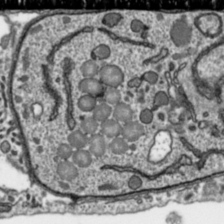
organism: Toxoplasma gondii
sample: Parasites in a vacuole inside a host cell